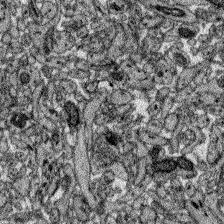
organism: Zebrafish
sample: Larval olfactory bulb